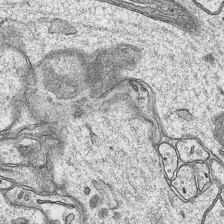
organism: Mouse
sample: CA1 Hippocampus